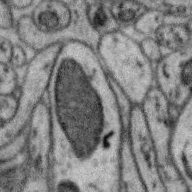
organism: Zebra finch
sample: Brain